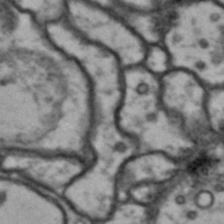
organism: Drosophila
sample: Brain